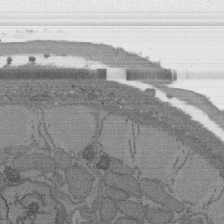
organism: C. elegans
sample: AFD neurons C. elegans